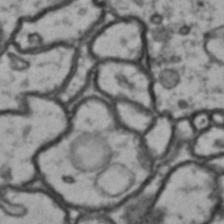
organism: Drosophila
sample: Brain